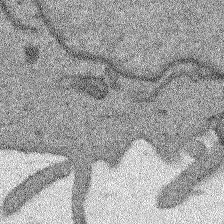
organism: Human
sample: HeLa cells